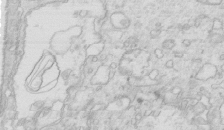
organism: Mouse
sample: Multiciliated cells